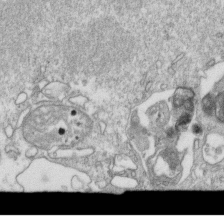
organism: Mouse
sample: Activated OT-1 CD8+ T cells